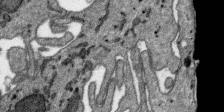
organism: Human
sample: Lung epithelial cells, uninfected (mock) control